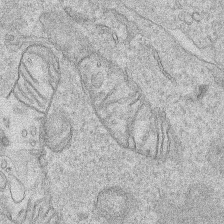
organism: Human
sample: Mitochondria in HCT116 cells